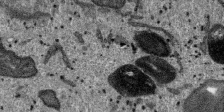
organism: Human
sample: Lung epithelial cells, uninfected (mock) control